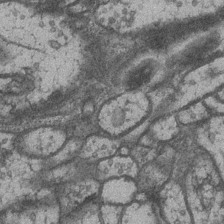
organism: Drosophila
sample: Optic medulla